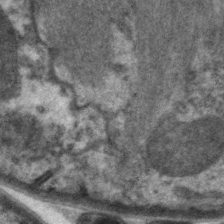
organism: C. elegans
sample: Pharynx